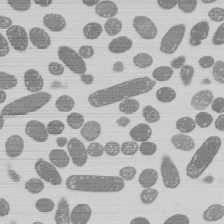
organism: E. coli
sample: Bacterial nucleoid